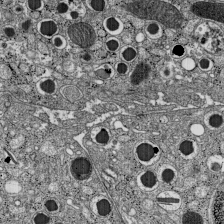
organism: C57BL Mouse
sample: Pancreatic islet